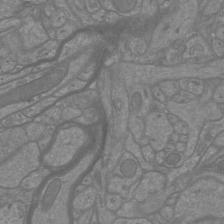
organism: Mouse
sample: Cortical neurons